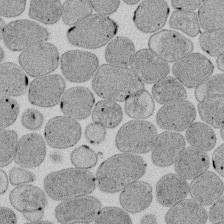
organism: E. coli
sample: Bacterial nucleoid